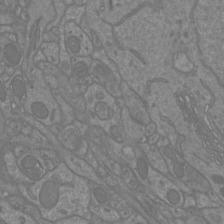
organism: Mouse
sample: Cortical neurons